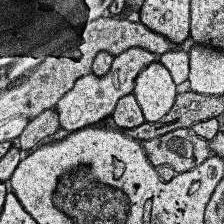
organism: Human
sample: Temporal Lobe